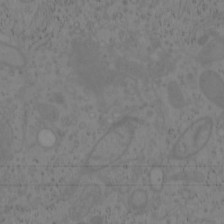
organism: Human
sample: HeLa cells